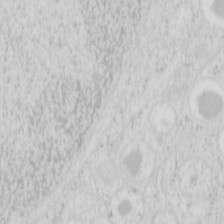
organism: Mouse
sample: Pancreas